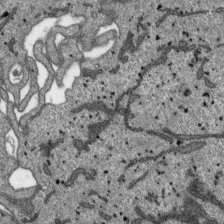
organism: Human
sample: Lung epithelial cells, uninfected (mock) control